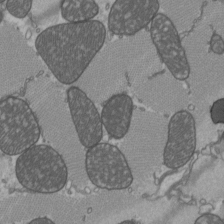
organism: C57BL Mouse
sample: Heart